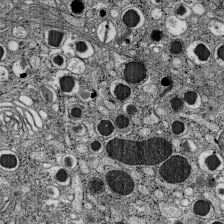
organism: C57BL Mouse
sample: Pancreatic islet